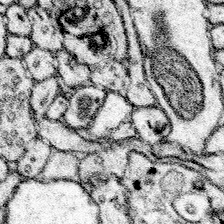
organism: Mouse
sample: Somatosensory cortex neuropil